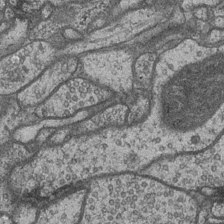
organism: Drosophila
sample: Optic medulla